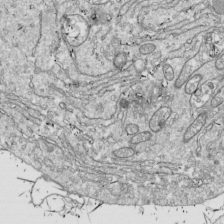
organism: Drosophila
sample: Cell division; meiosis; drosophila spermatocytes